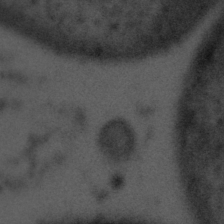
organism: Tuwongella immobilis